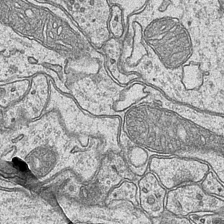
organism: Mouse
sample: CA1 Hippocampus